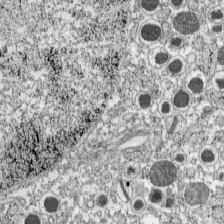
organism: C57BL Mouse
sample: Pancreatic islet